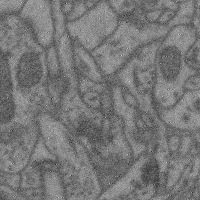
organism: Mouse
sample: Cerebral cortex